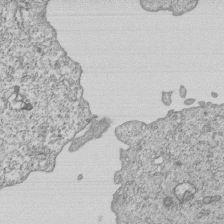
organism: Human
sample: MDA-MB-231 cells